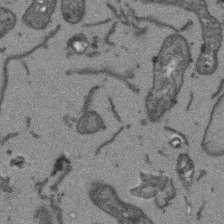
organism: Arabidopsis thaliana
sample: Root tip